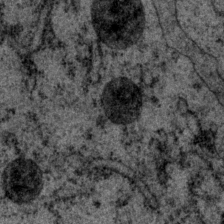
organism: P. pacificus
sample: Pharynx